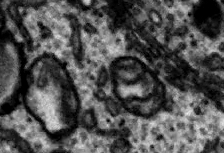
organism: Human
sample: HeLa cells